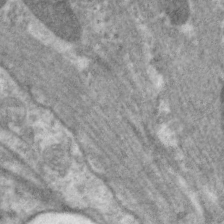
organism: C. elegans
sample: Pharynx